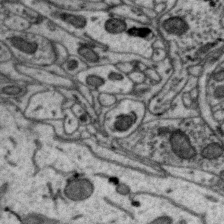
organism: Zebra finch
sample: Brain